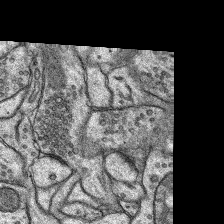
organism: Rat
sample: Hippocampus